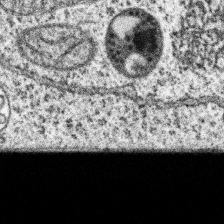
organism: Human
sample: HeLa cells